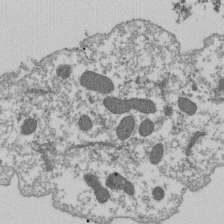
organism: Dictyostelium discoideum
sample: Dictyostelium multivesicular bodies